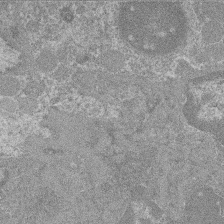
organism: Mouse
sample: Glomerulus